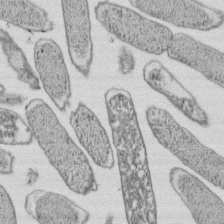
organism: E. coli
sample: Bacterial nucleoid